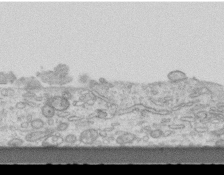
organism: Mouse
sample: Centriole in ependymal cells